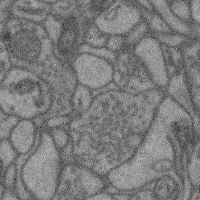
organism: Mouse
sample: Cerebral cortex